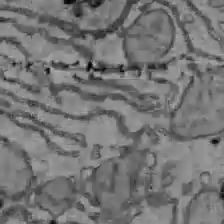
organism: C57BL Mouse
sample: Liver